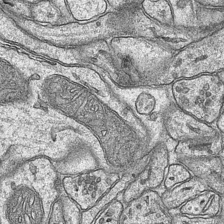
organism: Mouse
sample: CA1 Hippocampus